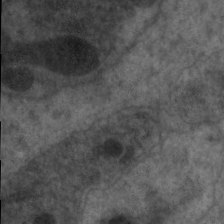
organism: C. elegans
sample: Pharynx